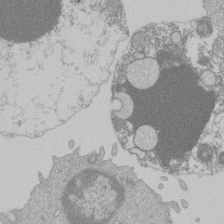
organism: Mouse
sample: Activated Pmel transgenic CD8+ T Cells